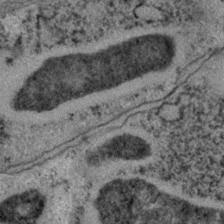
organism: C. elegans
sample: C. elegans embryo